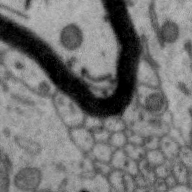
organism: Zebra finch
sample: Brain